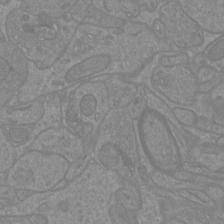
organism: Mouse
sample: Cortical neurons